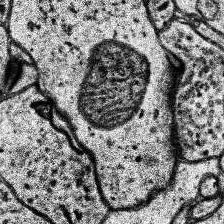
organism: Human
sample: Temporal Lobe